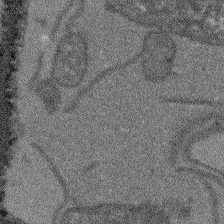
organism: Arabidopsis thaliana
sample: Root tip